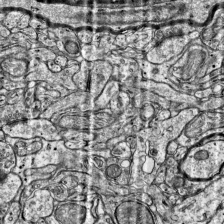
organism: Mouse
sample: Visual Cortex